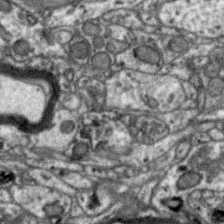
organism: Zebra finch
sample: Brain